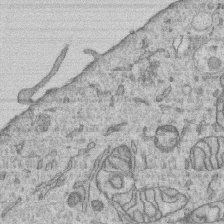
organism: Human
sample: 1205lu cells